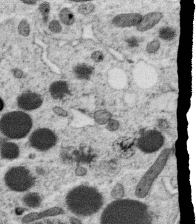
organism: C. elegans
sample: C. elegans oocyte; sperm cells